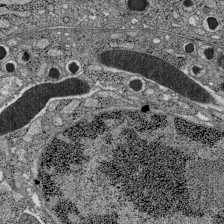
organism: C57BL Mouse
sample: Pancreatic islet